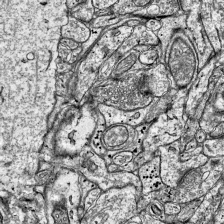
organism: Mouse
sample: Visual Cortex